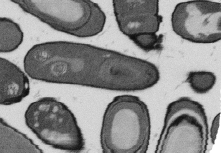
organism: B. subtilis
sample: Bacterial spore